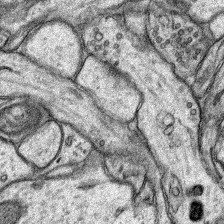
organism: Rat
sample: Hippocampus